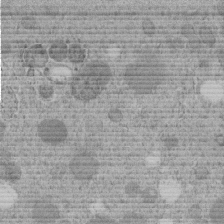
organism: C. elegans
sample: C. elegans embryo early stage